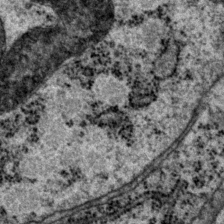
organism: P. pacificus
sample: Pharynx